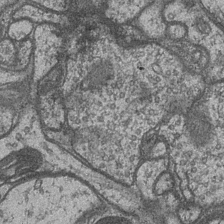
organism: Drosophila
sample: Optic medulla